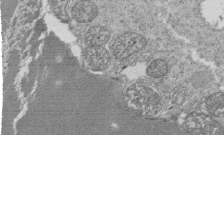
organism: Tetrahymena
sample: Cilia in tetrahymena